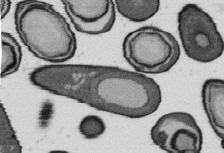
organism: B. subtilis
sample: Bacterial spore